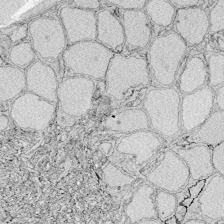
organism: Zebrafish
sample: Whole-Brain